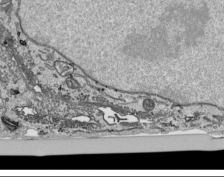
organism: Human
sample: Mitochondria in HCT116 cells